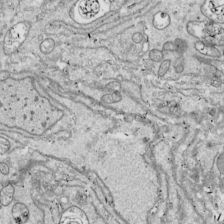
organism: Drosophila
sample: Cell division; meiosis; drosophila spermatocytes